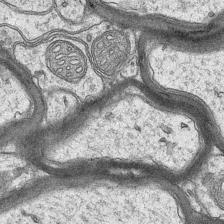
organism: Mouse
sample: CA1 Hippocampus